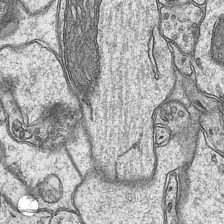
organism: Mouse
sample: CA1 Hippocampus